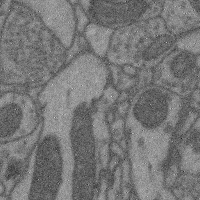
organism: Mouse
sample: Cerebral cortex